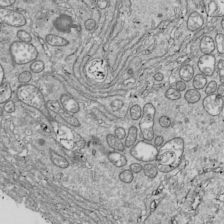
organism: Drosophila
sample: Cell division; meiosis; drosophila spermatocytes